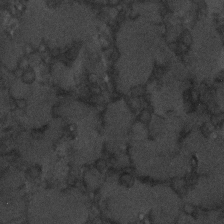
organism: C. elegans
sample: C. elegans embryo